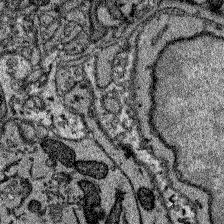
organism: Zebrafish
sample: Larval olfactory bulb